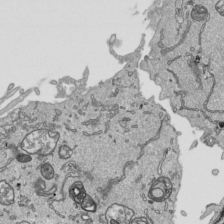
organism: Human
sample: Mitochondria in HCT116 cells